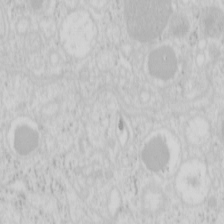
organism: Mouse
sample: Pancreas